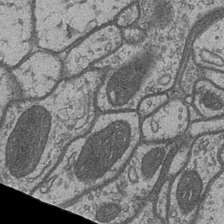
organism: Drosophila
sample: Optic medulla